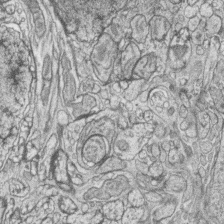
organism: Zebrafish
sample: synaptic ribbons in rod cells and cone cells